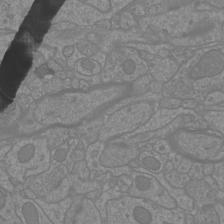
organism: Mouse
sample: Cortical neurons